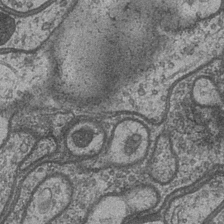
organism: Drosophila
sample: Optic medulla